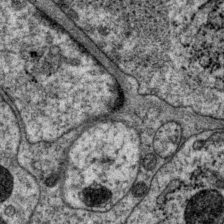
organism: P. pacificus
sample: Pharynx